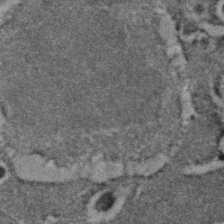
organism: C. elegans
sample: C. elegans embryo